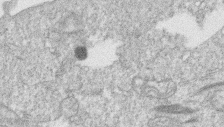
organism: Human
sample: HeLa cell HIV synapse